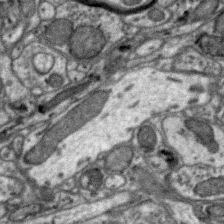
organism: Zebra finch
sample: Brain